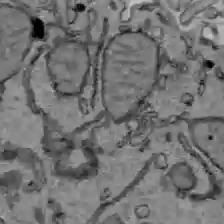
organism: C57BL Mouse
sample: Liver